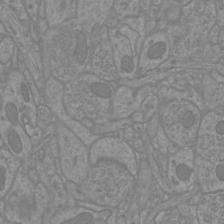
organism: Mouse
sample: Cortical neurons